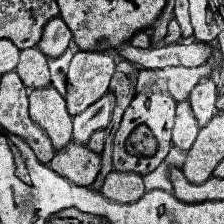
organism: Human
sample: Temporal Lobe